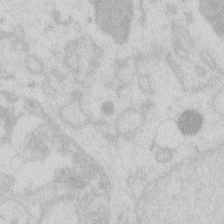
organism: Zebrafish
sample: Macrophage